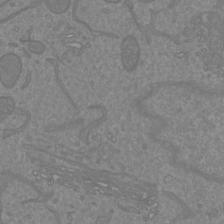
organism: Mouse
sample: Cortical neurons